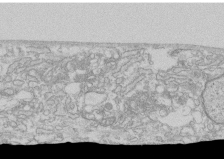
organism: Human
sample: CRL-1474